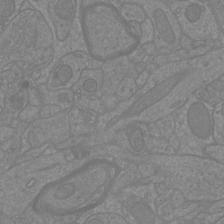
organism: Mouse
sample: Cortical neurons